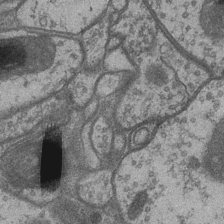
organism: Drosophila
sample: Optic medulla